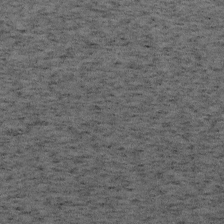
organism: Mouse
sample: OT-I killer T cells with ID8 ovarian cancer cells